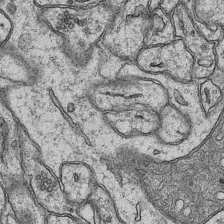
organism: Mouse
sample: CA1 Hippocampus